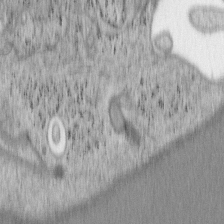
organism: Human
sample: HeLa cells